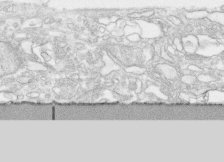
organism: Human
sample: CRL-1474